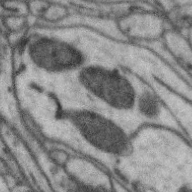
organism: Zebra finch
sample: Brain